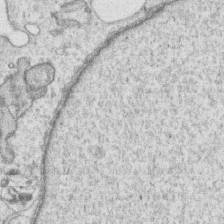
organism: Human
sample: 1205lu cells